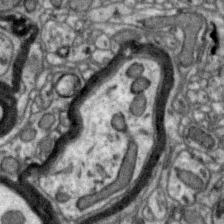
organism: Zebra finch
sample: Brain